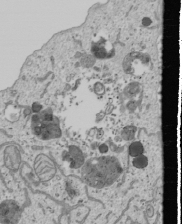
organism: Human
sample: Mitochondria in U2OS cells